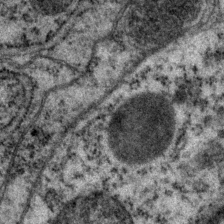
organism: P. pacificus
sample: Pharynx